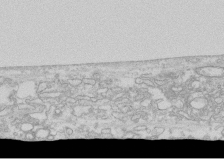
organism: Human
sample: CRL-1474